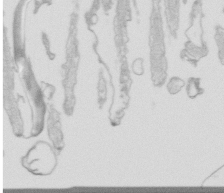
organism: Mouse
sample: Multiciliated cells